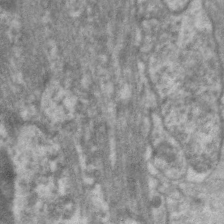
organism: C. elegans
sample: Pharynx